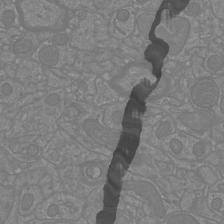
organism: Mouse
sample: Cortical neurons